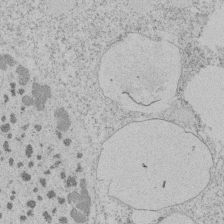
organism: Tetrahymena